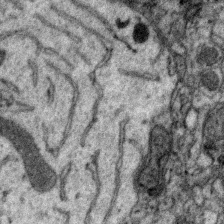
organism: Zebra finch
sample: Brain